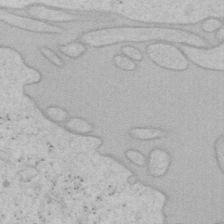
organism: Human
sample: HeLa cells